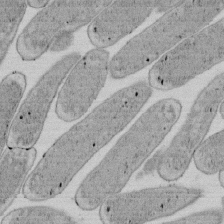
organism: E. coli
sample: Bacterial nucleoid